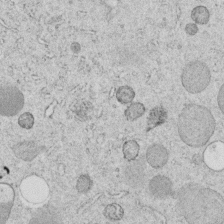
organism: C. elegans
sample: C. elegans embryo early stage